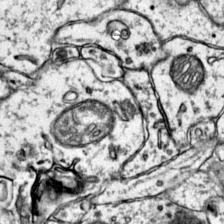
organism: Mouse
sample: Primary visual cortex